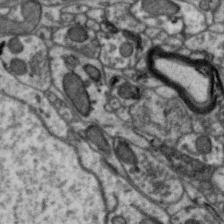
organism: Zebra finch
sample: Brain